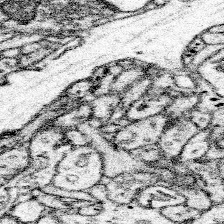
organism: Mouse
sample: Somatosensory cortex neuropil